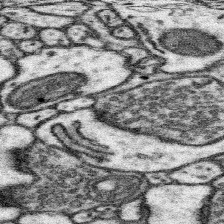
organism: Mouse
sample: Somatosensory cortex neuropil